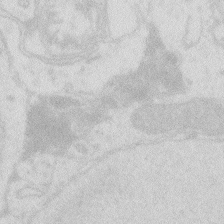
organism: Zebrafish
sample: Macrophage